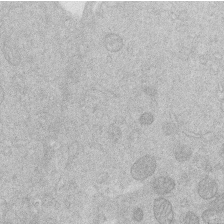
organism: Human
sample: Macrophage cells